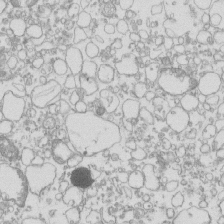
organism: Mouse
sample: Macrophages